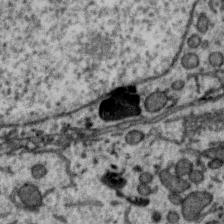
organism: Zebra finch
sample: Brain